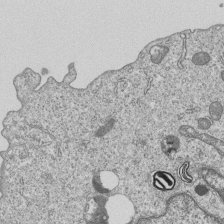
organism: Human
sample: MDA-MB-231 cells